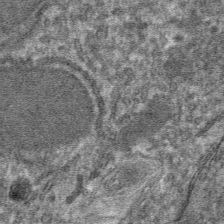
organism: Mouse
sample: Mouse hepatocytes